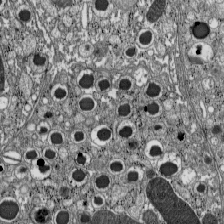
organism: C57BL Mouse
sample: Pancreatic islet